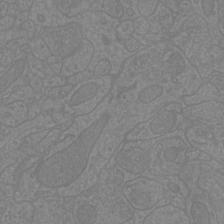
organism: Mouse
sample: Cortical neurons